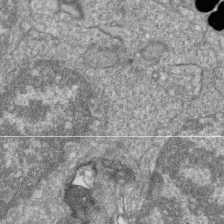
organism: Zebrafish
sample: Cilia; retinal pigment epithelium